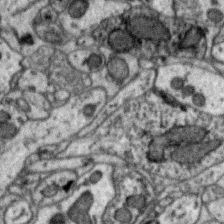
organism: Zebra finch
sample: Brain